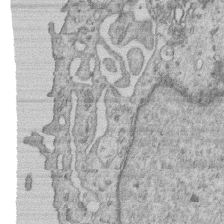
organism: Human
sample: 1205lu cells